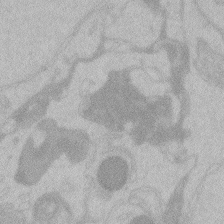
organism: Zebrafish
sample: Macrophage infected with Toxoplasma gondii